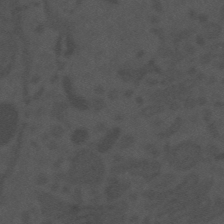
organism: Mouse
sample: Suprachiasmatic nucleus